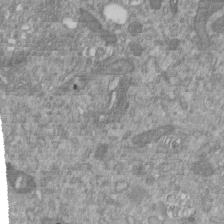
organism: Mouse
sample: ED-1 cell nuclei; centrioles